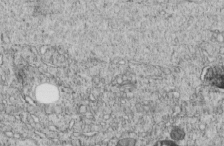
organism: C. elegans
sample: C. elegans embryo early stage